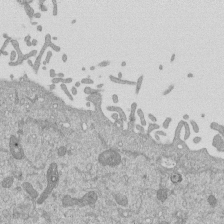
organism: Mouse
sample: ED-1 cell nuclei; centrioles